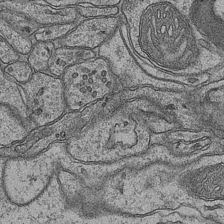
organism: Mouse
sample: CA1 Hippocampus